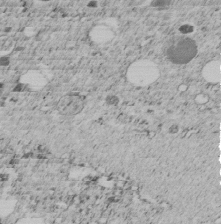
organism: C. elegans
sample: C. elegans embryo early stage